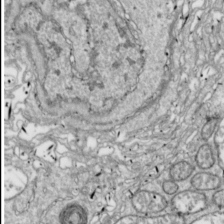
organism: Drosophila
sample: Cell division; meiosis; drosophila spermatocytes